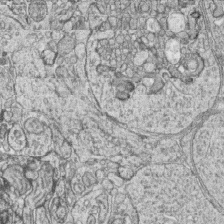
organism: Zebrafish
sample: synaptic ribbons in rod cells and cone cells